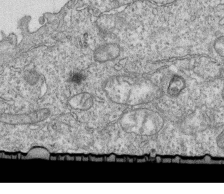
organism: Human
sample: HeLa cell HIV synapse